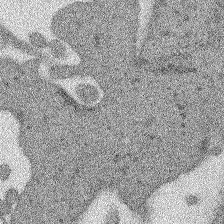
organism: Human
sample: HeLa cells